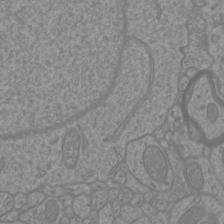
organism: Mouse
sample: Cortical neurons